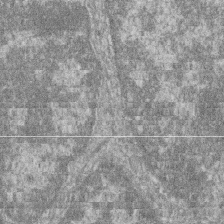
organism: Zebrafish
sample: Cilia; retinal pigment epithelium